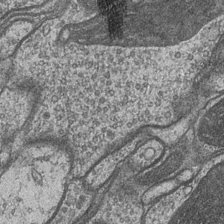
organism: Drosophila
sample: Optic medulla